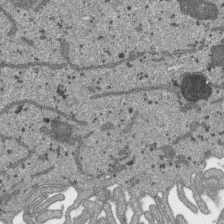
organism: Human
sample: Lung epithelial cells infected with SARS-CoV-2